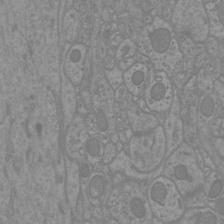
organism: Mouse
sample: Cortical neurons